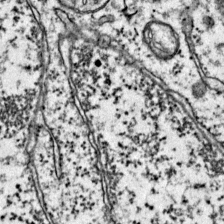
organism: Mouse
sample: Primary visual cortex